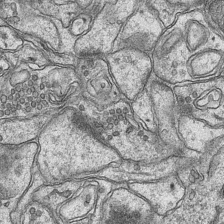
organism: Mouse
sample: CA1 Hippocampus